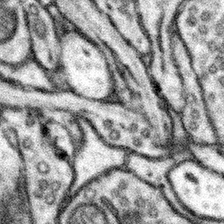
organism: Mouse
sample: Somatosensory cortex neuropil